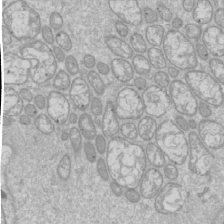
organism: Drosophila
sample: Cell division; meiosis; drosophila spermatocytes